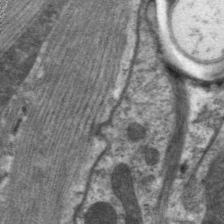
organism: C. elegans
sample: Pharynx